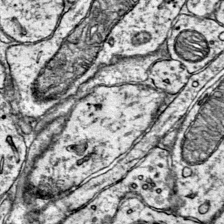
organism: Mouse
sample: Primary visual cortex